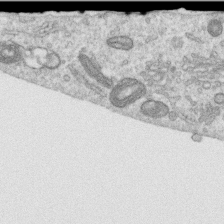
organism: Human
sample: Centriole in RPE cells